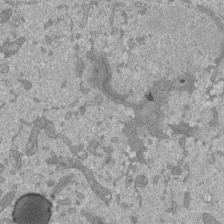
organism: Mouse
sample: ED-1 cell nuclei; centrioles